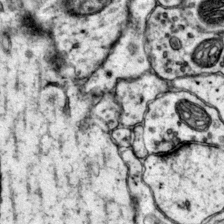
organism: Mouse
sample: Primary visual cortex